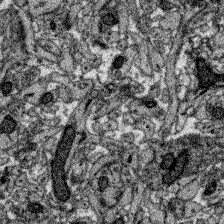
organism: Zebrafish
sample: Larval olfactory bulb